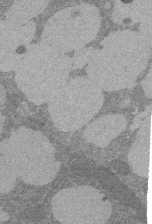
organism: Rat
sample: Salivary granule